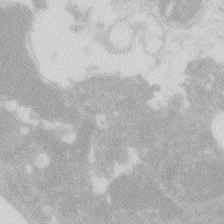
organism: Zebrafish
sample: Macrophage